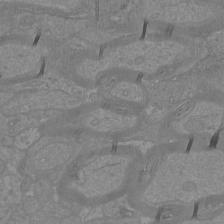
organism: Mouse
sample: Cortical neurons